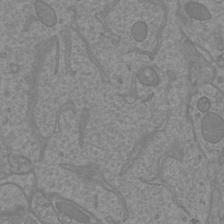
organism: Mouse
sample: Cortical neurons